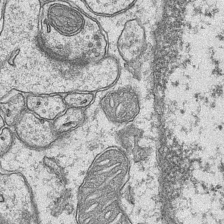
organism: Mouse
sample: CA1 Hippocampus